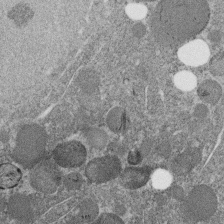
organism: C. elegans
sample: C. elegans embryo early stage